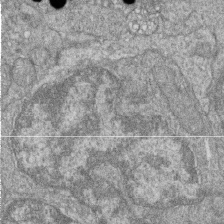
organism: Zebrafish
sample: Cilia; retinal pigment epithelium